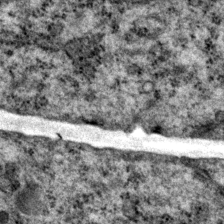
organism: P. pacificus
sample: Pharynx